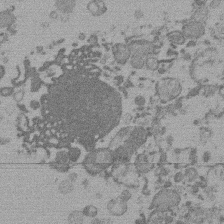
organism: Mouse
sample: Dividing mouse embryo 1 cell stage